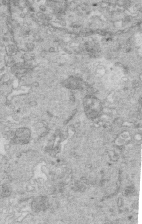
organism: Mouse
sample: Multiciliated cells